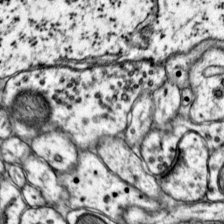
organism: Mouse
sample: Primary visual cortex